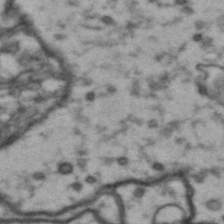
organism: Drosophila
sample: Brain